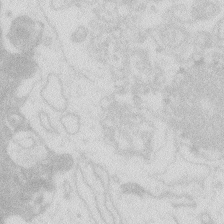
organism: Zebrafish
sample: Macrophage